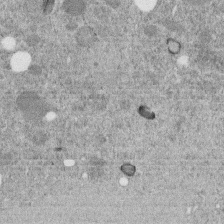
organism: C. elegans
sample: C. elegans embryo early stage